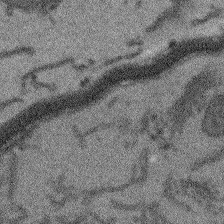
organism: Arabidopsis thaliana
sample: Root tip